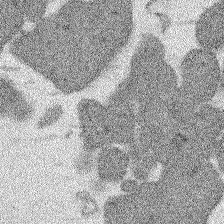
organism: Human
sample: HeLa cells